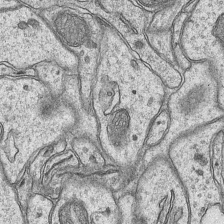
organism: Mouse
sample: CA1 Hippocampus